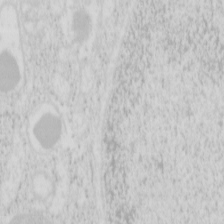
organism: Mouse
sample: Pancreas